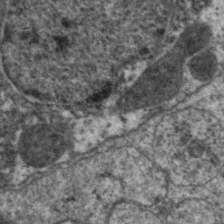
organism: C. elegans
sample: Pharynx